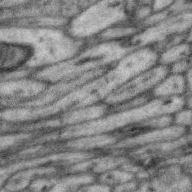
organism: Zebra finch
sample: Brain